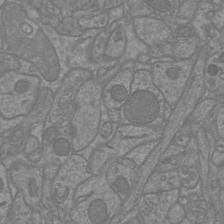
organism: Mouse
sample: Cortical neurons